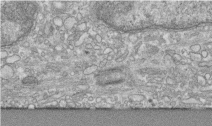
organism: Human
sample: Centriole in RPE cells